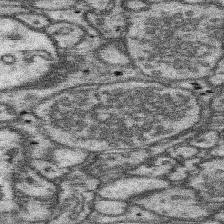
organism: Mouse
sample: Somatosensory cortex neuropil